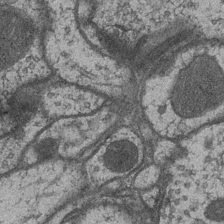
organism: Drosophila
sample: Optic medulla